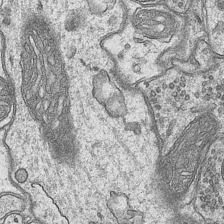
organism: Mouse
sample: CA1 Hippocampus